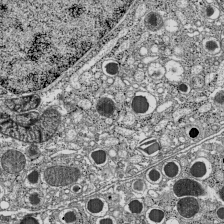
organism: C57BL Mouse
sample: Pancreatic islet